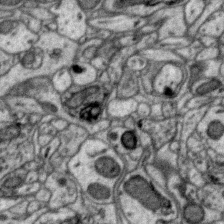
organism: Zebra finch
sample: Brain